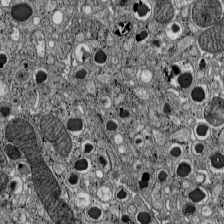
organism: C57BL Mouse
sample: Pancreatic islet